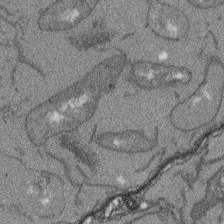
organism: Arabidopsis thaliana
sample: Root tip